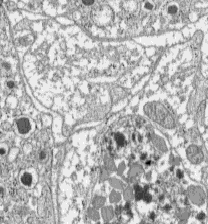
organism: C57BL Mouse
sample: Pancreatic islet